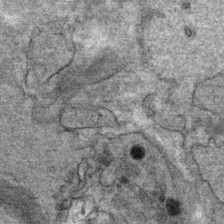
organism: Mouse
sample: Mouse Salivary gland